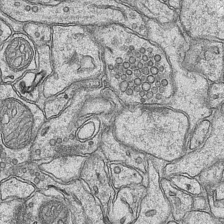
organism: Mouse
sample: CA1 Hippocampus